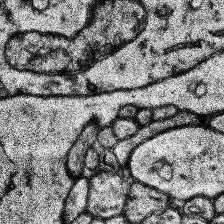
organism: Human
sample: Temporal Lobe